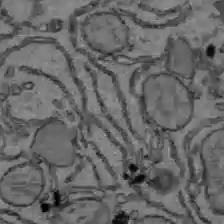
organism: C57BL Mouse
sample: Liver